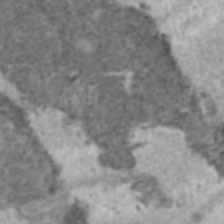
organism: C57BL Mouse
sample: Heart